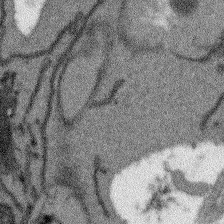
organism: Arabidopsis thaliana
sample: Root tip